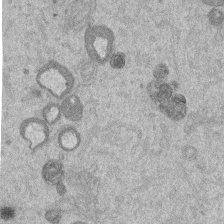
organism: Mouse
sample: Dividing mouse embryo 1 cell stage